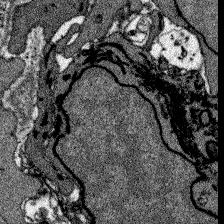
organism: Zebrafish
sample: Larval olfactory bulb